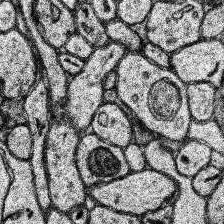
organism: Human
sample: Temporal Lobe